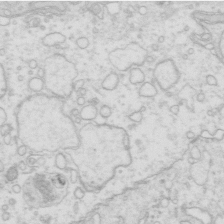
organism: Mouse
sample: Multiciliated cells